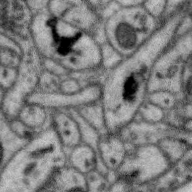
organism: Zebra finch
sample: Brain